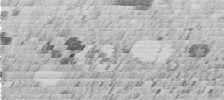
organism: C. elegans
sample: C. elegans embryo early stage